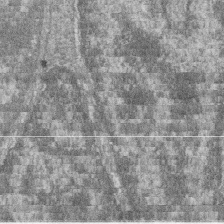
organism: Zebrafish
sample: Cilia; retinal pigment epithelium